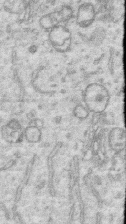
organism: Human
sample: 1205lu cells